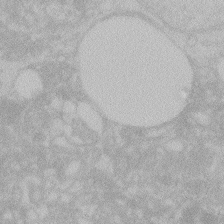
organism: Zebrafish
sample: Macrophage infected with Toxoplasma gondii